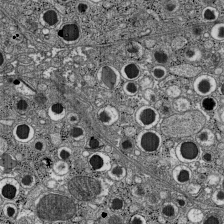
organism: C57BL Mouse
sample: Pancreatic islet